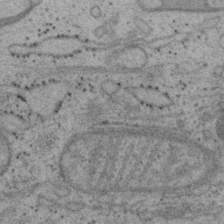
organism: Human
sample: HeLa cells